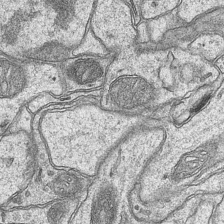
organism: Mouse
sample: CA1 Hippocampus